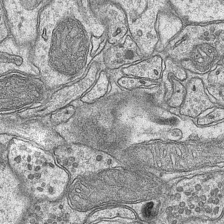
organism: Mouse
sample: CA1 Hippocampus